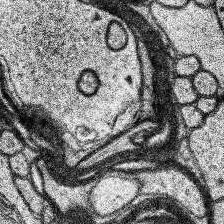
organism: Human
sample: Temporal Lobe